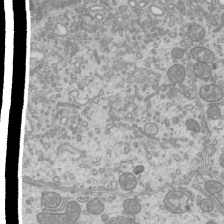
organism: Mouse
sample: Cilia; mouse epididymis